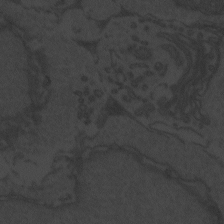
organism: Zebrafish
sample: Macrophage infected with Toxoplasma gondii